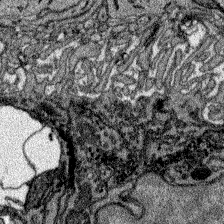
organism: Zebrafish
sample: Larval olfactory bulb